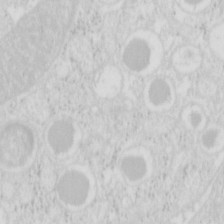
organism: Mouse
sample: Pancreas